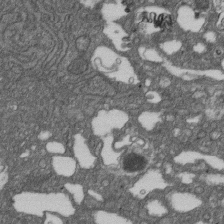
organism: Drosophila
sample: Nephrocyte